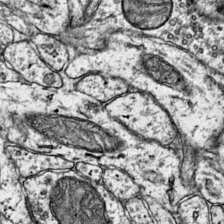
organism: Mouse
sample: Primary visual cortex